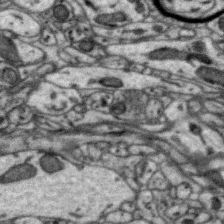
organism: Zebra finch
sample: Brain